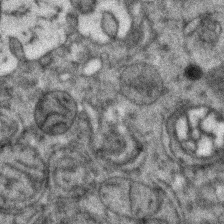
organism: Zebrafish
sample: Zebrafish embryo